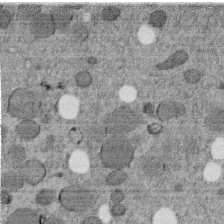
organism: C. elegans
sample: C. elegans embryo early stage